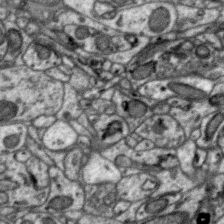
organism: Zebra finch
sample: Brain